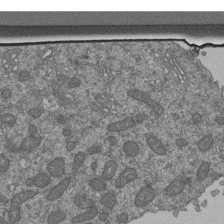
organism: Human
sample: Retinal organoid Rod and Cone cells